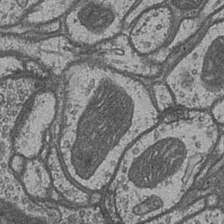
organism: Drosophila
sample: Optic medulla